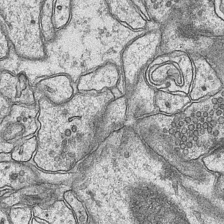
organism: Mouse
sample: CA1 Hippocampus